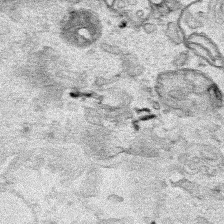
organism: Human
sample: Mitochondria in HCT116 cells